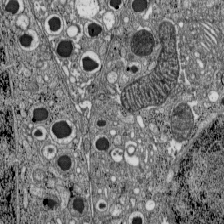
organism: C57BL Mouse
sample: Pancreatic islet